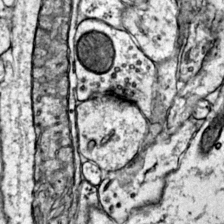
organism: Mouse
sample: Primary visual cortex